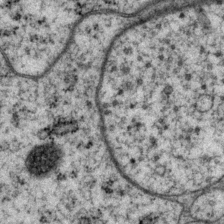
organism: P. pacificus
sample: Pharynx